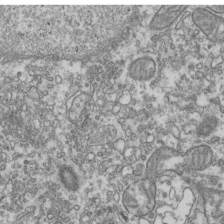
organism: Human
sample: Activated Jurkat CD4+ T cells